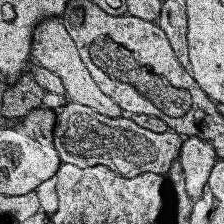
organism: Human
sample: Temporal Lobe